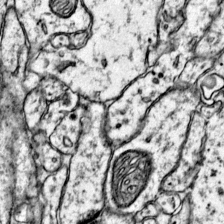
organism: Mouse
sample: Primary visual cortex